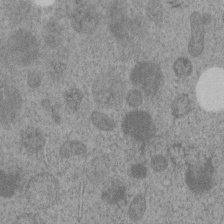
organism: C. elegans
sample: C. elegans embryo early stage